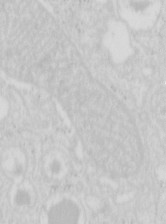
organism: Mouse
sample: Pancreas